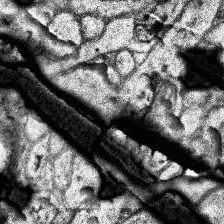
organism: Human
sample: Temporal Lobe